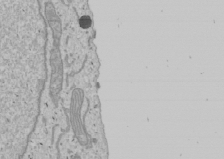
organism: Human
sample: Mitochondria in U2OS cells